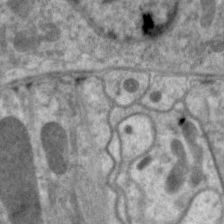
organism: C. elegans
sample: Pharynx